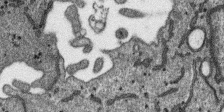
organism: Human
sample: Lung epithelial cells infected with SARS-CoV-2